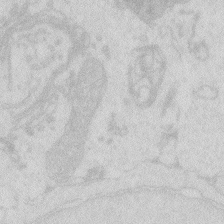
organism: Zebrafish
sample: Macrophage